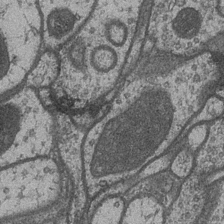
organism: Drosophila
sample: Optic medulla